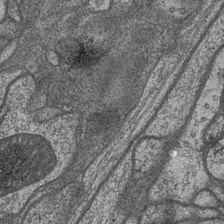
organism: Drosophila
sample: Optic medulla